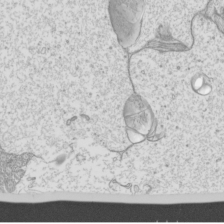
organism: Mouse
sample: Cilia; mouse epididymis